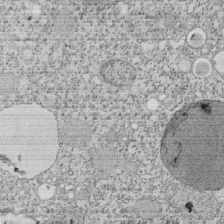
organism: Tetrahymena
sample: Cilia in tetrahymena